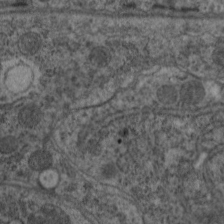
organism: C. elegans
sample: Pharynx